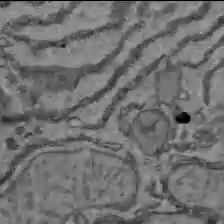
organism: C57BL Mouse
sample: Liver